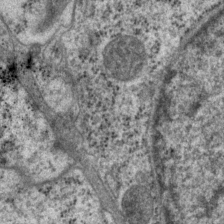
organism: P. pacificus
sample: Pharynx